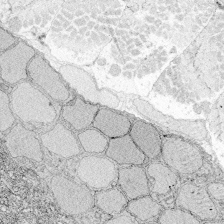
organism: Zebrafish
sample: Whole-Brain